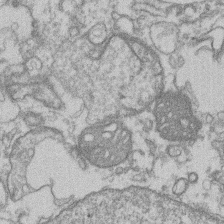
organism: Mouse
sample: T cell stromal cell synapse